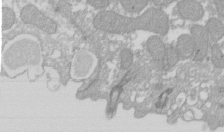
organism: Xenopus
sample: Cilia; centrioles in frog embryo cells